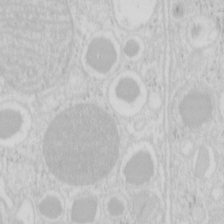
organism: Mouse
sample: Pancreas